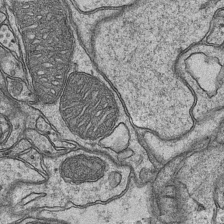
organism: Mouse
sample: CA1 Hippocampus